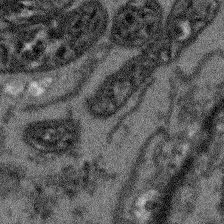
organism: Arabidopsis thaliana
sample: Root tip